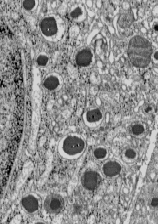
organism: C57BL Mouse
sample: Pancreatic islet